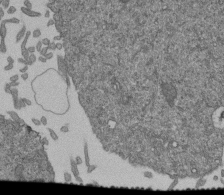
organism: Human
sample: Retinal organoid Rod and Cone cells